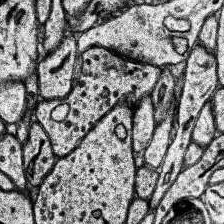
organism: Human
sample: Temporal Lobe